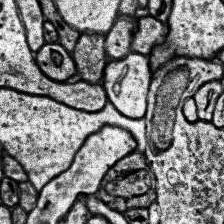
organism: Human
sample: Temporal Lobe